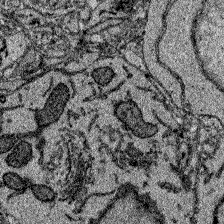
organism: Zebrafish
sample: Larval olfactory bulb